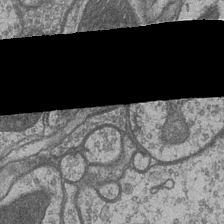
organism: Drosophila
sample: Optic medulla